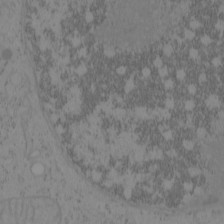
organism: Human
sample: HeLa cells